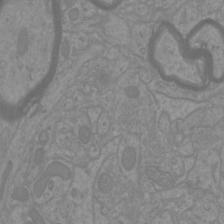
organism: Mouse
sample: Cortical neurons